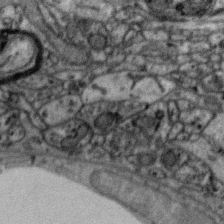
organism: Zebra finch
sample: Brain